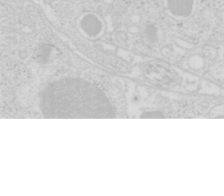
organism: Mouse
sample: Pancreas